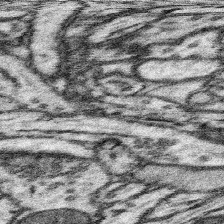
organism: Mouse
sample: Somatosensory cortex neuropil